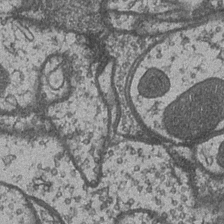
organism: Drosophila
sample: Optic medulla